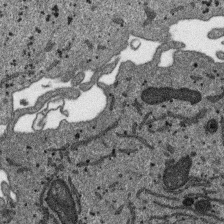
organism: Human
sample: Lung epithelial cells infected with SARS-CoV-2